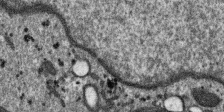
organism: Human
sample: Lung epithelial cells infected with SARS-CoV-2